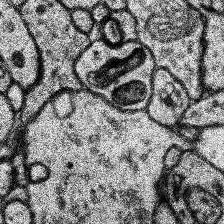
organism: Human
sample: Temporal Lobe